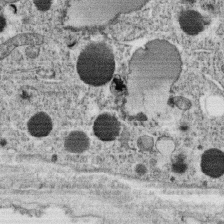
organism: C. elegans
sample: C. elegans oocyte; sperm cells